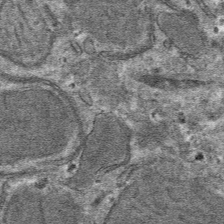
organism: Mouse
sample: Mouse hepatocytes